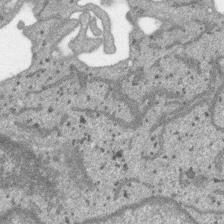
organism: Human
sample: Lung epithelial cells infected with SARS-CoV-2